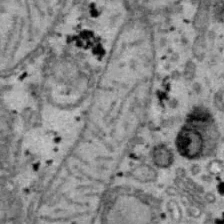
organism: Mouse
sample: Liver from an obese (ob/ob) mouse